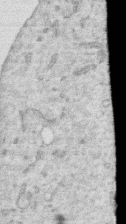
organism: Human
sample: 1205lu cells